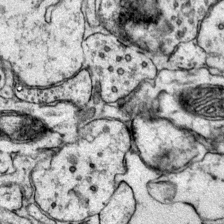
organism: Mouse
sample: Primary visual cortex